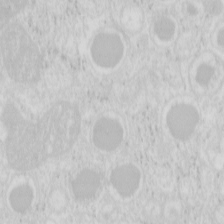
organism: Mouse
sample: Pancreas